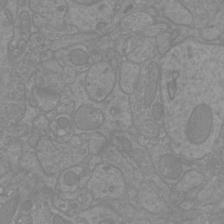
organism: Mouse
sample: Cortical neurons